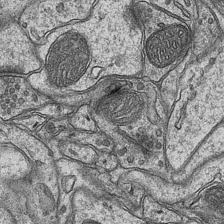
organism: Mouse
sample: CA1 Hippocampus